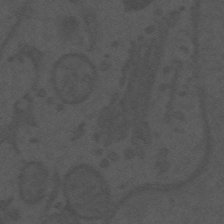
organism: Mouse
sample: Suprachiasmatic nucleus